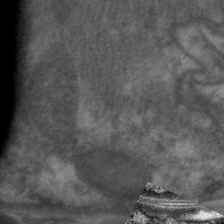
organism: C. elegans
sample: Pharynx